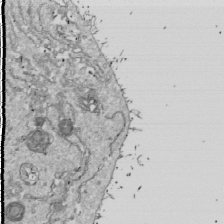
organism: Drosophila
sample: Cell division; meiosis; drosophila spermatocytes